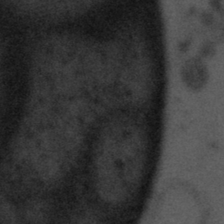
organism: Tuwongella immobilis